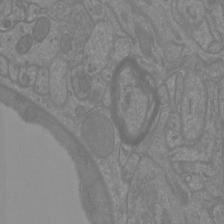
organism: Mouse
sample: Cortical neurons